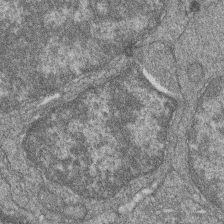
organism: Zebrafish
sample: Cilia; retinal pigment epithelium